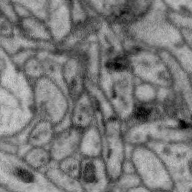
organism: Zebra finch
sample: Brain